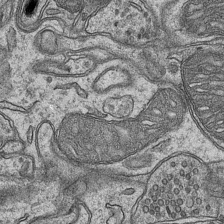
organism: Mouse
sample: CA1 Hippocampus